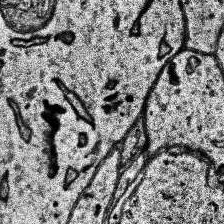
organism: Human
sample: Temporal Lobe